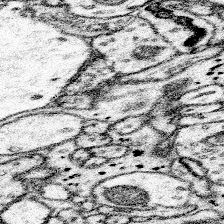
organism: Mouse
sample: Somatosensory cortex neuropil